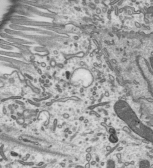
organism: Mouse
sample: Mouse epididymis efferent ductule cilia